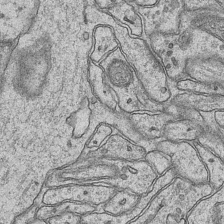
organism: Mouse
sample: CA1 Hippocampus